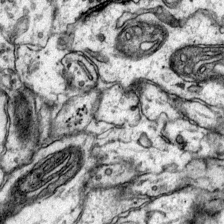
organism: Mouse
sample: Primary visual cortex